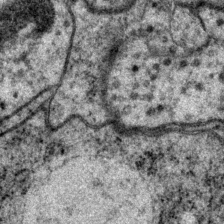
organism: P. pacificus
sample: Pharynx